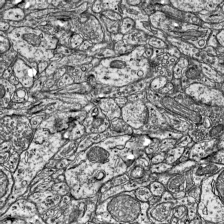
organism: Mouse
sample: Visual Cortex